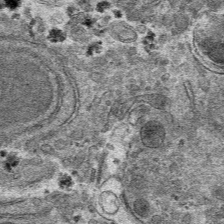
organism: Mouse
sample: Mouse hepatocytes